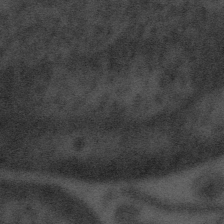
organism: Tuwongella immobilis